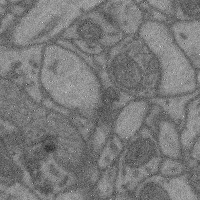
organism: Mouse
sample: Cerebral cortex